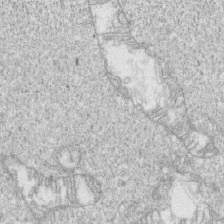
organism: Human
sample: HeLa cell HIV synapse